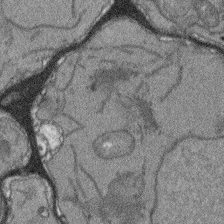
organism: Arabidopsis thaliana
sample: Root tip